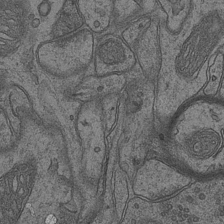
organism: Mouse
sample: CA1 Hippocampus